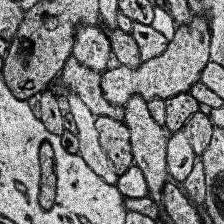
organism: Human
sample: Temporal Lobe